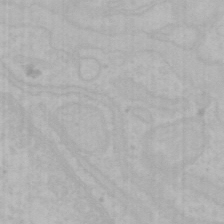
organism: Mouse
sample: Choroid plexus